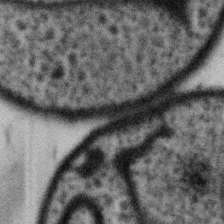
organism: Gemmata obscuriglobus